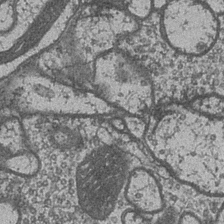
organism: Drosophila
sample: Optic medulla